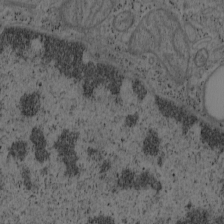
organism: Mouse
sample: OT-I killer T cells with ID8 ovarian cancer cells